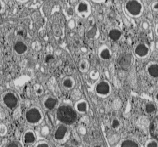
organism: C57BL Mouse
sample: Pancreatic islet